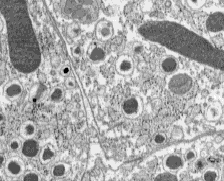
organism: C57BL Mouse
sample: Pancreatic islet